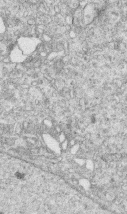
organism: Human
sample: HeLa cell HIV synapse